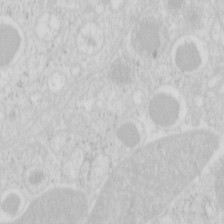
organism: Mouse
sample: Pancreas